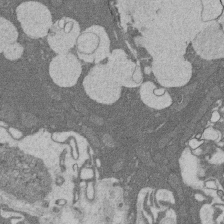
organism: Rat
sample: Salivary granule